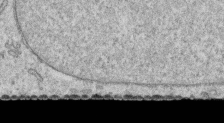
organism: Human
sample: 1205lu cells